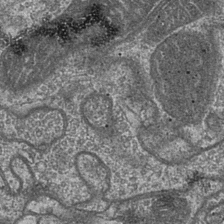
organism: Drosophila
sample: Optic medulla